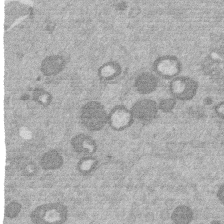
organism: Mouse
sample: Dividing mouse embryo 1 cell stage